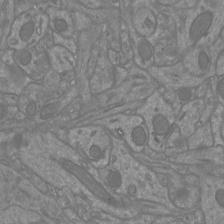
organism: Mouse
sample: Cortical neurons